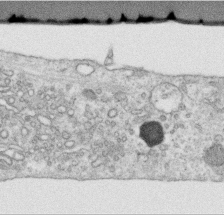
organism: Human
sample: Centriole in RPE cells